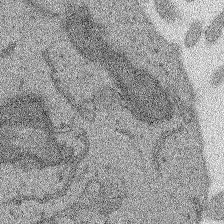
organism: Human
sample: HeLa cells